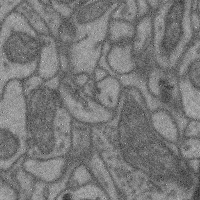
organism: Mouse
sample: Cerebral cortex